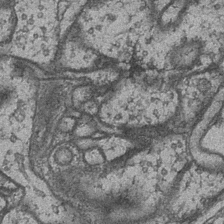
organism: Drosophila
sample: Optic medulla